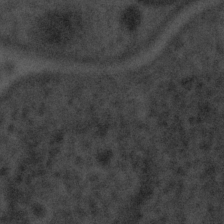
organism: Tuwongella immobilis